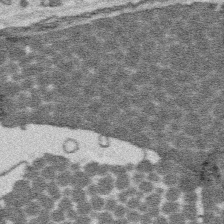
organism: Platynereis dumerilii